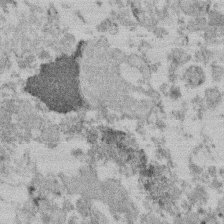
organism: Mouse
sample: Dividing mouse embryo 1 cell stage